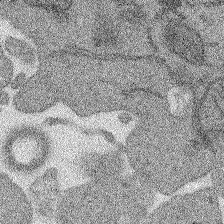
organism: Human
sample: HeLa cells